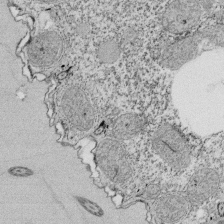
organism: Tetrahymena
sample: Cilia in tetrahymena